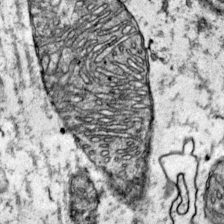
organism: Mouse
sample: Primary visual cortex